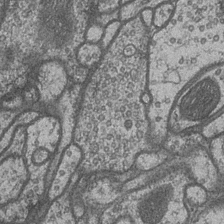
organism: Drosophila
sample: Optic medulla